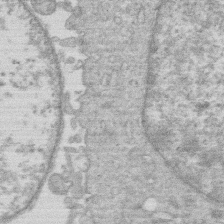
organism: Human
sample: Macrophage cells